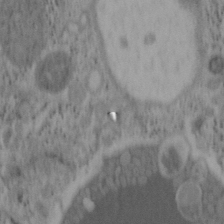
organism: Mouse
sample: OT-I killer T cells with ID8 ovarian cancer cells